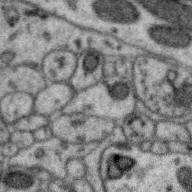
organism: Zebra finch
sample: Brain